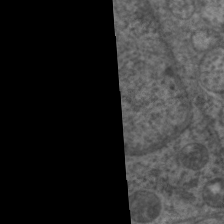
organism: C. elegans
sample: Pharynx